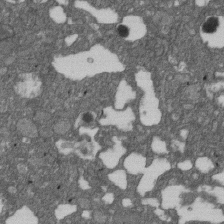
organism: Drosophila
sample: Nephrocyte